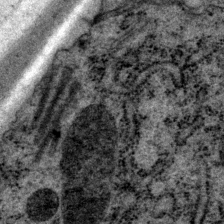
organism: P. pacificus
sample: Pharynx